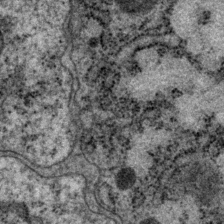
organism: P. pacificus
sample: Pharynx